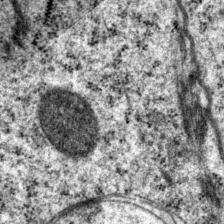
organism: P. pacificus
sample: Pharynx